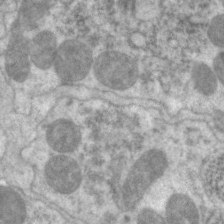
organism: C. elegans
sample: Pharynx